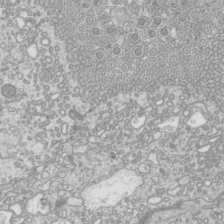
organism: Mouse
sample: Cilia; mouse epididymis